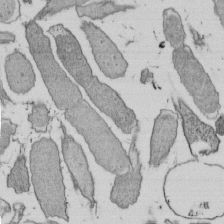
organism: E. coli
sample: Bacterial nucleoid